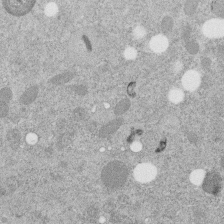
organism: C. elegans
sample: C. elegans embryo early stage